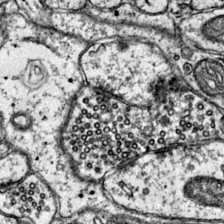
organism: Mouse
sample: Primary visual cortex